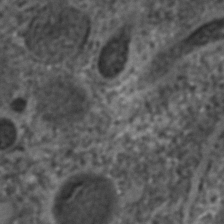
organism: C. elegans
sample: C. elegans embryo